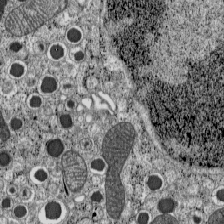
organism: C57BL Mouse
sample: Pancreatic islet